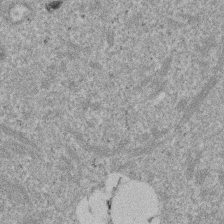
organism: Mouse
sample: Dividing mouse embryo 1 cell stage